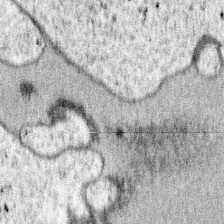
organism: Human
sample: HeLa cells